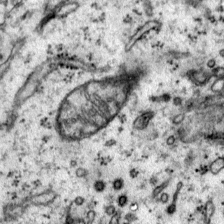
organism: Mouse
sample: Primary visual cortex